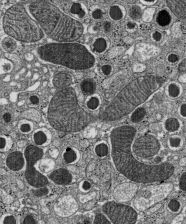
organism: C57BL Mouse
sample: Pancreatic islet